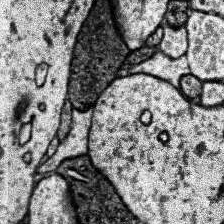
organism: Human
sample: Temporal Lobe